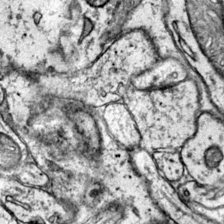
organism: Mouse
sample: Primary visual cortex